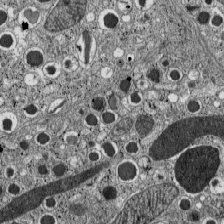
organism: C57BL Mouse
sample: Pancreatic islet